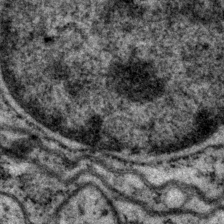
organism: P. pacificus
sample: Pharynx